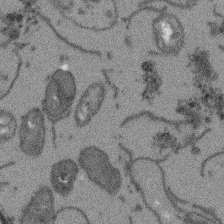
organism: Arabidopsis thaliana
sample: Root tip